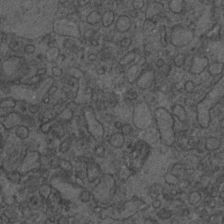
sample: Trachea